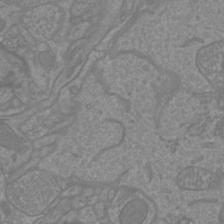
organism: Mouse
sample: Cortical neurons